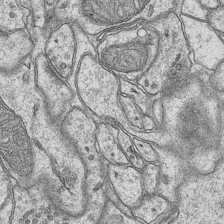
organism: Mouse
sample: CA1 Hippocampus